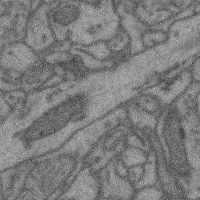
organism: Mouse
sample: Cerebral cortex